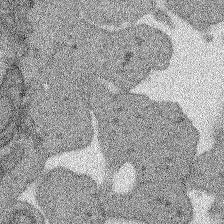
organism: Human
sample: HeLa cells